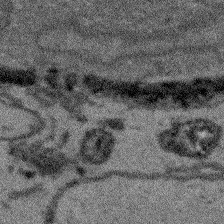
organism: Arabidopsis thaliana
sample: Root tip